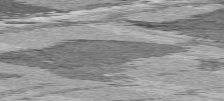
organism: C57BL Mouse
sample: Heart